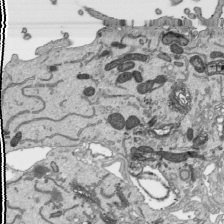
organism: Human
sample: Mitochondria in HCT116 cells